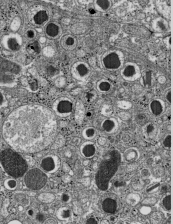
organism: C57BL Mouse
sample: Pancreatic islet